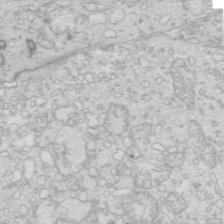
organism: Mouse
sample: Multiciliated cells